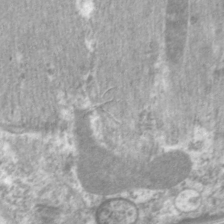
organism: C. elegans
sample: Pharynx